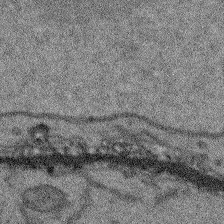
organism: Arabidopsis thaliana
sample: Root tip